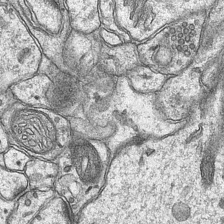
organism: Mouse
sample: CA1 Hippocampus